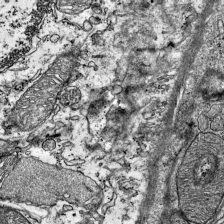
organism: Mouse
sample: Visual Cortex